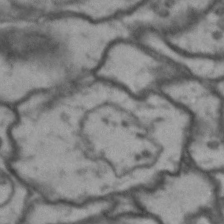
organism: Drosophila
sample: Brain